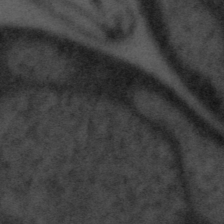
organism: Tuwongella immobilis